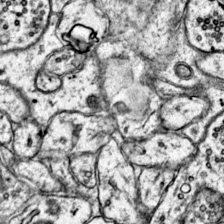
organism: Mouse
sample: Primary visual cortex